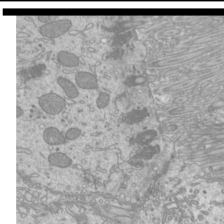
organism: Mouse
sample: Cilia; mouse epididymis